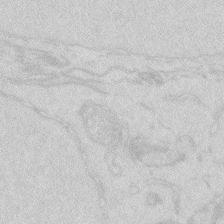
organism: Zebrafish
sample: Macrophage